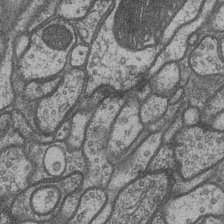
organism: Drosophila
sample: Optic medulla